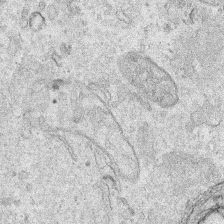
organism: Human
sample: Mitochondria in HCT116 cells